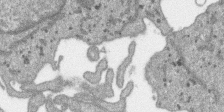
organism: Human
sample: Lung epithelial cells infected with SARS-CoV-2